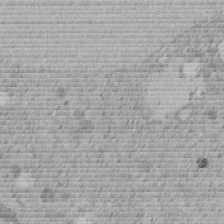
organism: C. elegans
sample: C. elegans embryo early stage